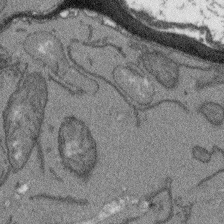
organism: Arabidopsis thaliana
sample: Root tip